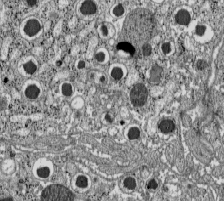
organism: C57BL Mouse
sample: Pancreatic islet